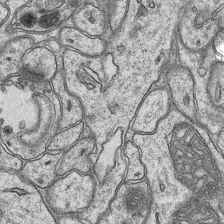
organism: Mouse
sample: CA1 Hippocampus